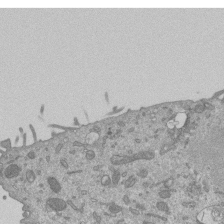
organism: Mouse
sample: ED-1 cell nuclei; centrioles